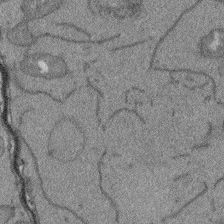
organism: Arabidopsis thaliana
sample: Root tip